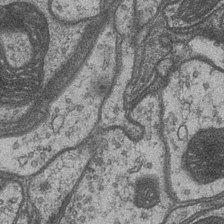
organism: Drosophila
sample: Optic medulla